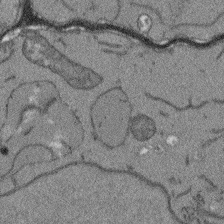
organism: Arabidopsis thaliana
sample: Root tip